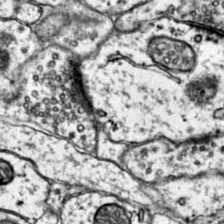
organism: Mouse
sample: Primary visual cortex